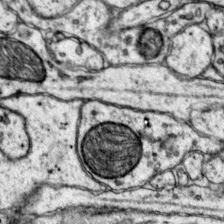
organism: Mouse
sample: Primary visual cortex